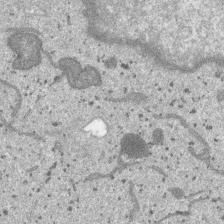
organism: Human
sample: Lung epithelial cells infected with SARS-CoV-2